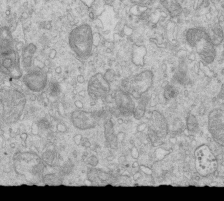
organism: Mouse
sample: Multiciliated cells